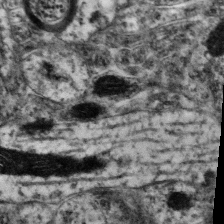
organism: Mouse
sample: Neocortex